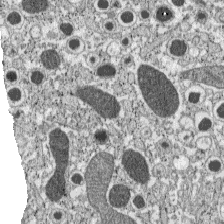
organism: C57BL Mouse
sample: Pancreatic islet